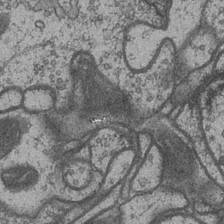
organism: Drosophila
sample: Optic medulla